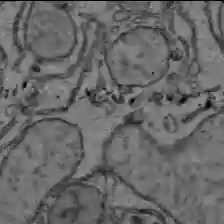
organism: C57BL Mouse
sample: Liver